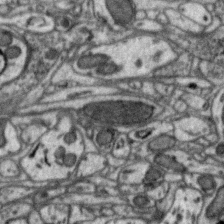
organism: Zebra finch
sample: Brain